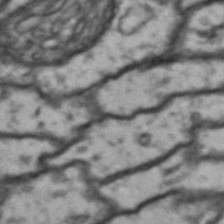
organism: Drosophila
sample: Brain